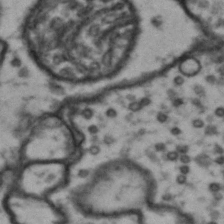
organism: Drosophila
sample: Brain